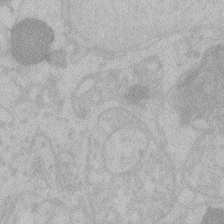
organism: Zebrafish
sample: Macrophage infected with Toxoplasma gondii